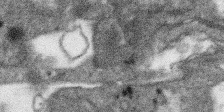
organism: Human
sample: Lung epithelial cells infected with SARS-CoV-2